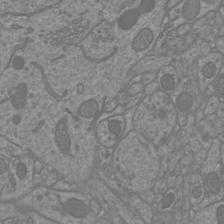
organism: Mouse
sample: Cortical neurons